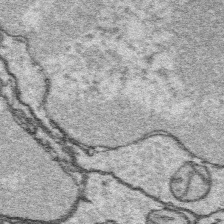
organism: Platynereis dumerilii